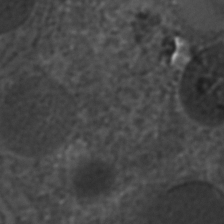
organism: C. elegans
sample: C. elegans embryo